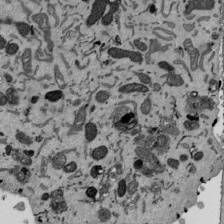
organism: Mouse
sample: ED-1 cell nuclei; centrioles